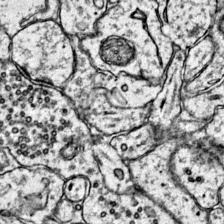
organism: Mouse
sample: Primary visual cortex